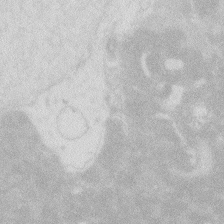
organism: Zebrafish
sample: Macrophage